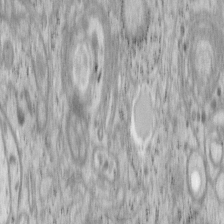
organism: Human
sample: HeLa cells